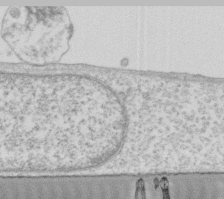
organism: Human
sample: Fibroblast cells